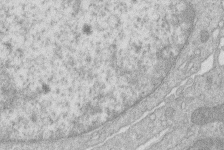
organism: Human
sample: Macrophage cells